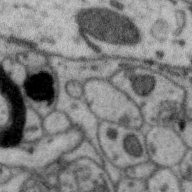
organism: Zebra finch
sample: Brain